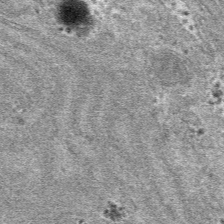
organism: Mouse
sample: Mouse hepatocytes